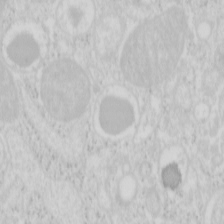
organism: Mouse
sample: Pancreas